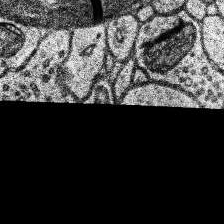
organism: Human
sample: Temporal Lobe